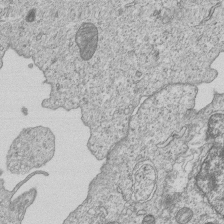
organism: Human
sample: MDA-MB-231 cells